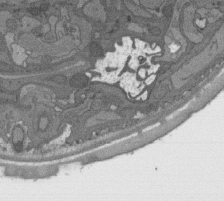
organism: C. elegans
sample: AFD neurons C. elegans